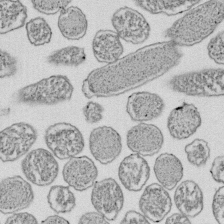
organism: E. coli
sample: Bacterial nucleoid